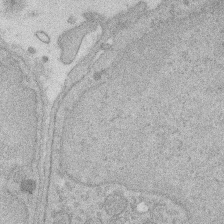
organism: Rat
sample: Salivary granule